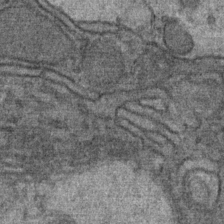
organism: Mouse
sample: Mouse Salivary gland